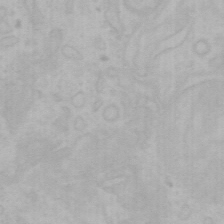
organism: Mouse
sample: Choroid plexus